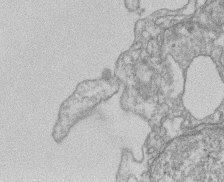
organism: Mouse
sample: T cell stromal cell synapse